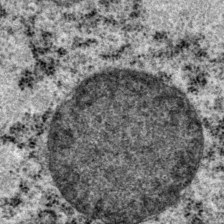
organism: P. pacificus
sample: Pharynx